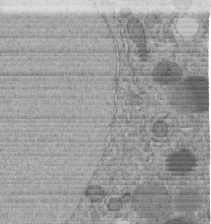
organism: C. elegans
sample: C. elegans embryo early stage